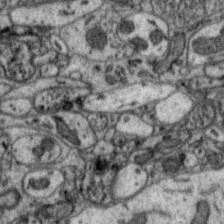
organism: Zebra finch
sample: Brain